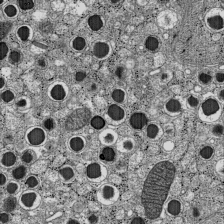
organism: C57BL Mouse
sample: Pancreatic islet